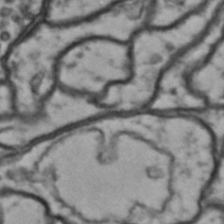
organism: Drosophila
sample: Brain